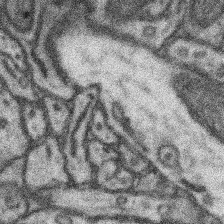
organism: Mouse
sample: Somatosensory cortex neuropil